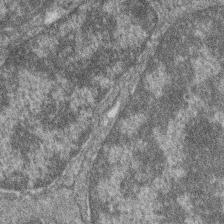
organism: Zebrafish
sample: Cilia; retinal pigment epithelium